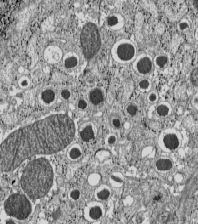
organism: C57BL Mouse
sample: Pancreatic islet